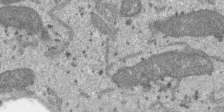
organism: Human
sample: Lung epithelial cells infected with SARS-CoV-2